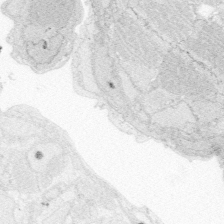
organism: Zebrafish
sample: Whole-Brain